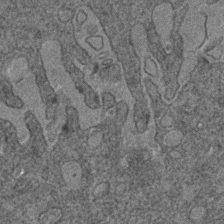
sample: Trachea